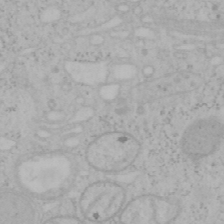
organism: Mouse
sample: OT-I killer T cells with ID8 ovarian cancer cells